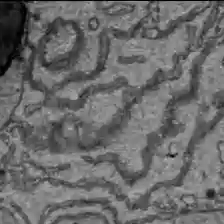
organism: C57BL Mouse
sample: Liver